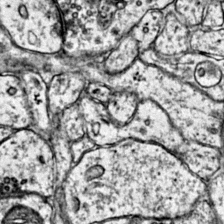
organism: Mouse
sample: Primary visual cortex